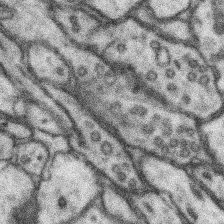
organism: Mouse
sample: Somatosensory cortex neuropil